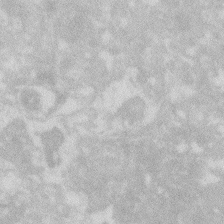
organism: Zebrafish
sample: Macrophage